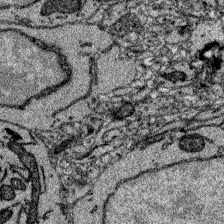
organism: Zebrafish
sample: Larval olfactory bulb